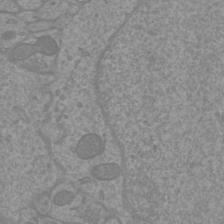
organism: Mouse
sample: Cortical neurons